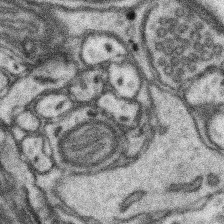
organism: Mouse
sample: Somatosensory cortex neuropil